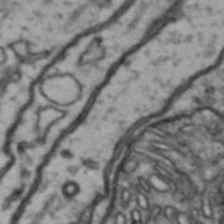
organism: Drosophila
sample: Brain